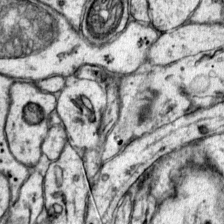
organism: Mouse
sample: Primary visual cortex